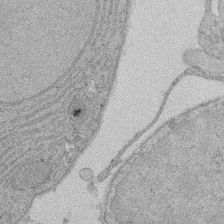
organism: Rat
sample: Salivary granule